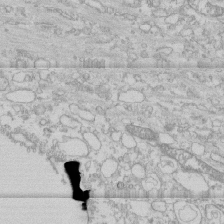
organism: Human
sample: CRL-1474